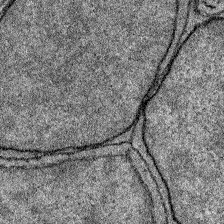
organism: Zebrafish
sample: Larval olfactory bulb